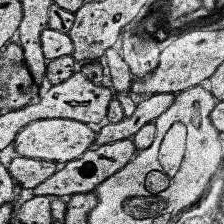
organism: Human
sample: Temporal Lobe